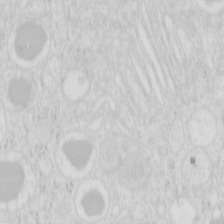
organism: Mouse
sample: Pancreas